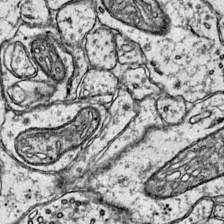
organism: Mouse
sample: Primary visual cortex